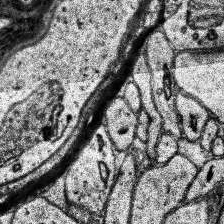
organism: Human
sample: Temporal Lobe